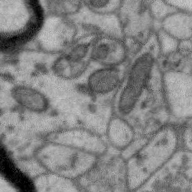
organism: Zebra finch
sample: Brain